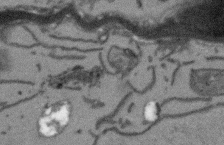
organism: Arabidopsis thaliana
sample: Root tip